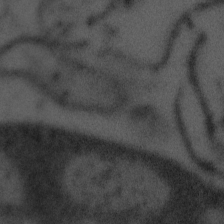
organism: Tuwongella immobilis